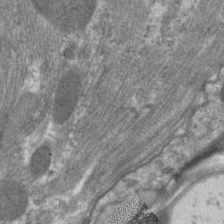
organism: C. elegans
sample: Pharynx